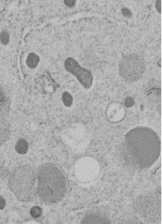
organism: C. elegans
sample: C. elegans embryo early stage